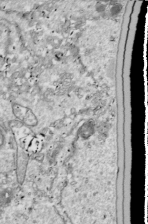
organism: Drosophila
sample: Cell division; meiosis; drosophila spermatocytes